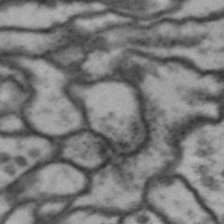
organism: Drosophila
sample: Brain